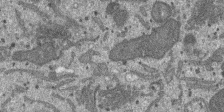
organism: Human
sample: Lung epithelial cells infected with SARS-CoV-2